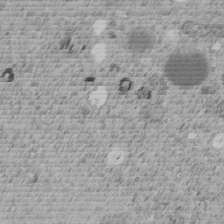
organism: C. elegans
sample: C. elegans embryo early stage